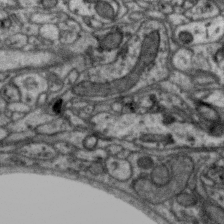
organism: Zebra finch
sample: Brain